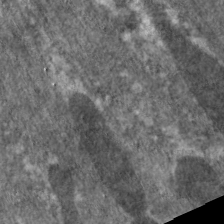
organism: C. elegans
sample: Pharynx